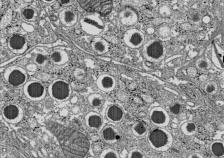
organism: C57BL Mouse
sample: Pancreatic islet